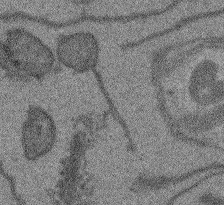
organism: Arabidopsis thaliana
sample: Root tip